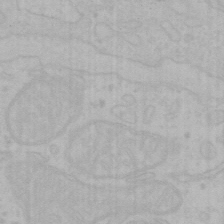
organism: Mouse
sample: Choroid plexus